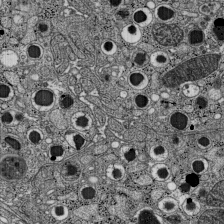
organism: C57BL Mouse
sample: Pancreatic islet